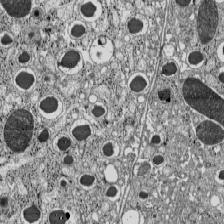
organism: C57BL Mouse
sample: Pancreatic islet